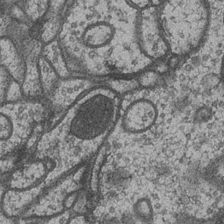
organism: Drosophila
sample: Optic medulla